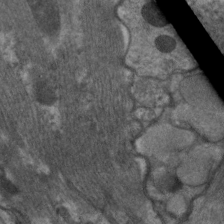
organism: C. elegans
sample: Pharynx